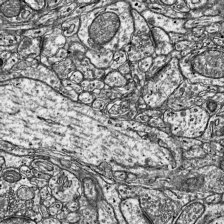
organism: Mouse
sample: Visual Cortex